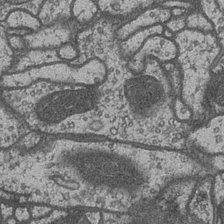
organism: Drosophila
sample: Optic medulla